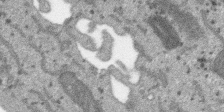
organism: Human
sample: Lung epithelial cells infected with SARS-CoV-2